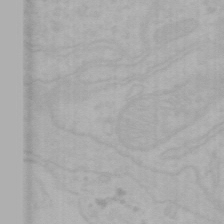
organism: Mouse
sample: Choroid plexus